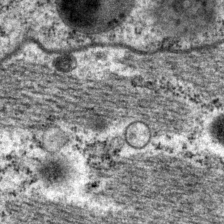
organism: P. pacificus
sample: Pharynx